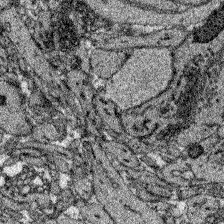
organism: Zebrafish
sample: Larval olfactory bulb